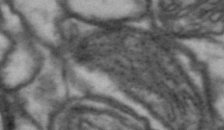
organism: Drosophila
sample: Brain